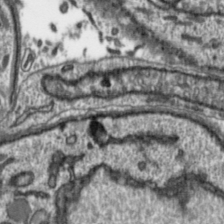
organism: Toxoplasma gondii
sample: Parasites in a vacuole inside a host cell